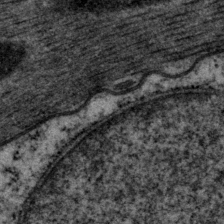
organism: P. pacificus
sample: Pharynx